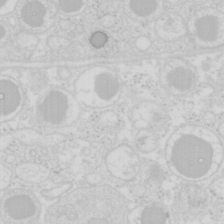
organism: Mouse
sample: Pancreas